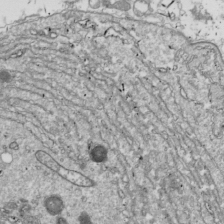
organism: Drosophila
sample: Cell division; meiosis; drosophila spermatocytes